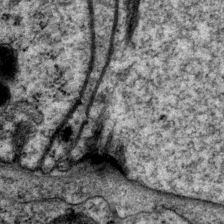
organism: P. pacificus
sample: Pharynx